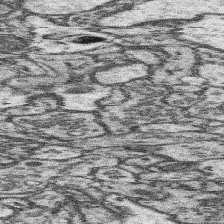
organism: Mouse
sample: Somatosensory cortex neuropil